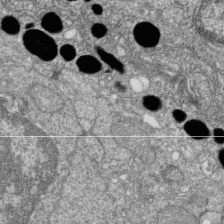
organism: Zebrafish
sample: Cilia; retinal pigment epithelium